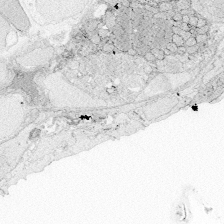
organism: Zebrafish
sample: Whole-Brain